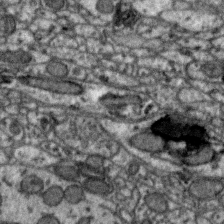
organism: Zebra finch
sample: Brain